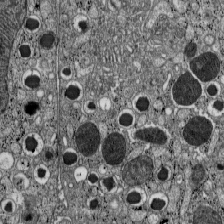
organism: C57BL Mouse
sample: Pancreatic islet